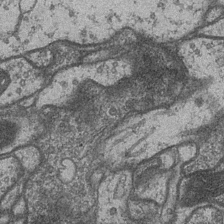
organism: Drosophila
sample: Optic medulla